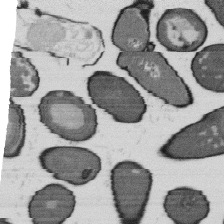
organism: B. subtilis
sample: Bacterial spore